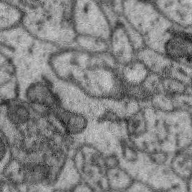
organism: Zebra finch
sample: Brain